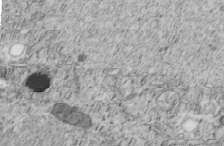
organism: C. elegans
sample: C. elegans embryo early stage